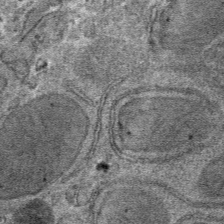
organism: Mouse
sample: Mouse hepatocytes